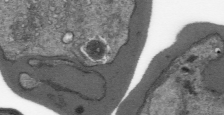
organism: Plasmodium falciparum